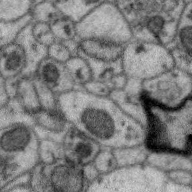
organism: Zebra finch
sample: Brain